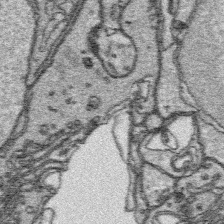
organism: Platynereis dumerilii